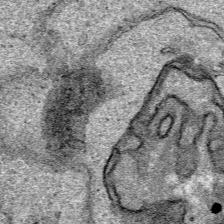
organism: Human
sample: Mitochondria in HCT116 cells